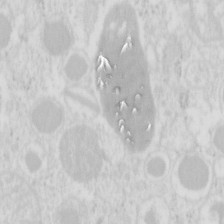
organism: Mouse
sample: Pancreas